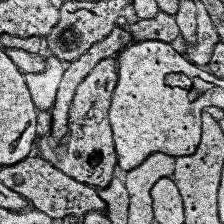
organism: Human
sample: Temporal Lobe